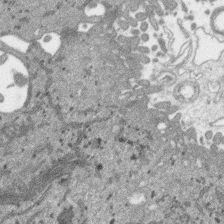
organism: Human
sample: Lung epithelial cells infected with SARS-CoV-2